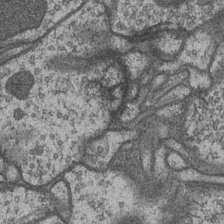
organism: Drosophila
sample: Optic medulla